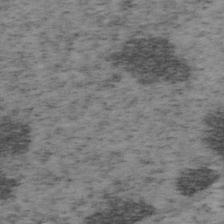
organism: Mouse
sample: OT-I killer T cells with ID8 ovarian cancer cells